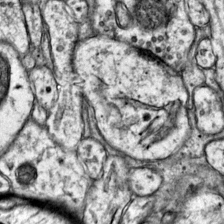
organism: Mouse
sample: Primary visual cortex